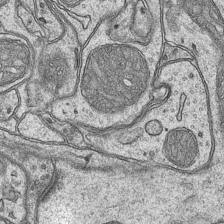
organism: Mouse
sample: CA1 Hippocampus